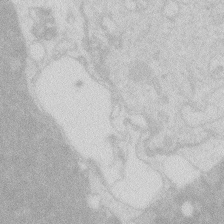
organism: Zebrafish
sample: Macrophage